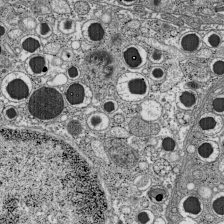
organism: C57BL Mouse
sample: Pancreatic islet